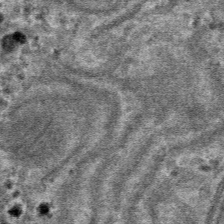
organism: Mouse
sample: Mouse hepatocytes